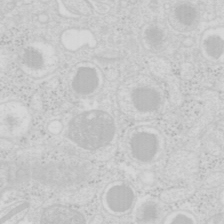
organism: Mouse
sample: Pancreas